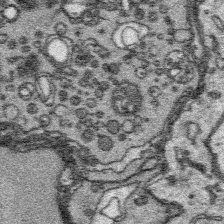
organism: Platynereis dumerilii